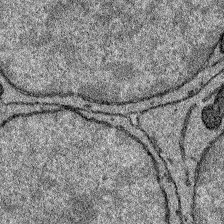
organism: Zebrafish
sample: Larval olfactory bulb